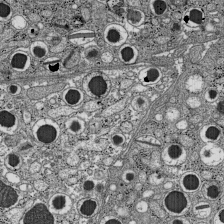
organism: C57BL Mouse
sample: Pancreatic islet